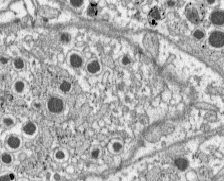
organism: C57BL Mouse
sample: Pancreatic islet